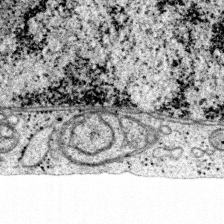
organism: Human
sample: HeLa cells